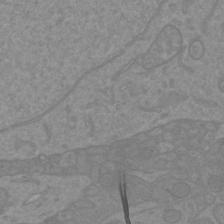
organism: Mouse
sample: Cortical neurons